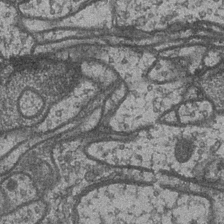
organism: Drosophila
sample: Optic medulla